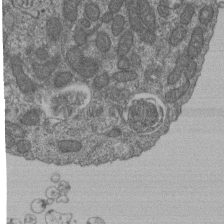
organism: Human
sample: Retinal organoid Rod and Cone cells